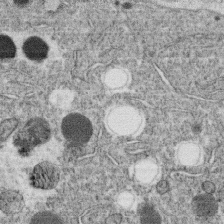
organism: C. elegans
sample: C. elegans oocyte; sperm cells